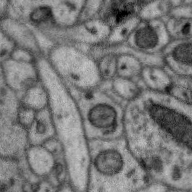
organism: Zebra finch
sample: Brain